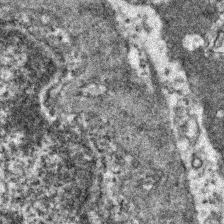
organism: Zebrafish